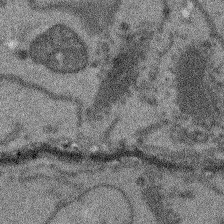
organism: Arabidopsis thaliana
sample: Root tip